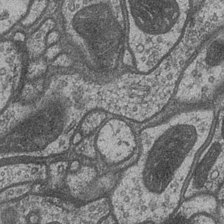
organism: Drosophila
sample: Optic medulla